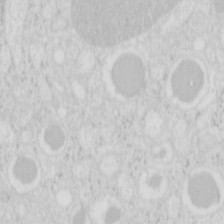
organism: Mouse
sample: Pancreas